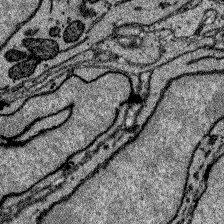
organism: Zebrafish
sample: Larval olfactory bulb